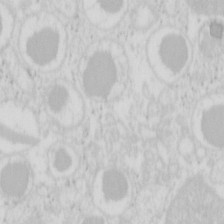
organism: Mouse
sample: Pancreas